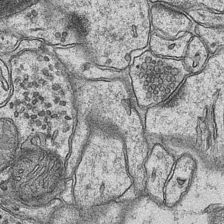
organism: Mouse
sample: CA1 Hippocampus